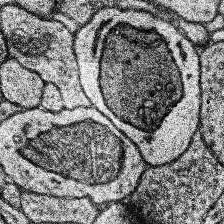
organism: Human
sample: Temporal Lobe